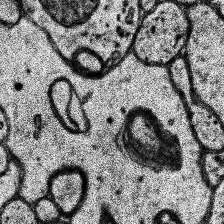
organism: Human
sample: Temporal Lobe